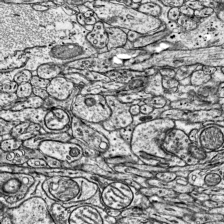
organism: Mouse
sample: Visual Cortex